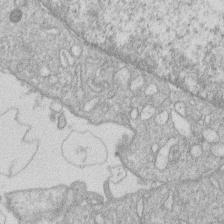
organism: Human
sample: Macrophage cells